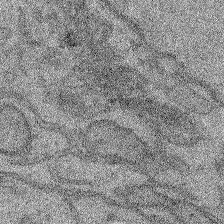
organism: Human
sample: HeLa cells